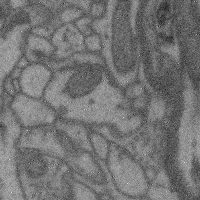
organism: Mouse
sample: Cerebral cortex